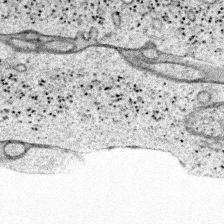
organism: Human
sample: HeLa cells